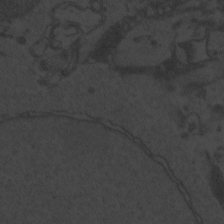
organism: Zebrafish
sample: Macrophage infected with Toxoplasma gondii